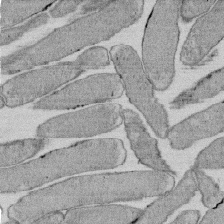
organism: E. coli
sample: Bacterial nucleoid